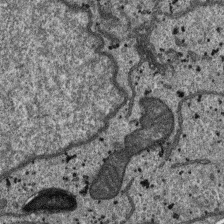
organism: Human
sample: Lung epithelial cells infected with SARS-CoV-2